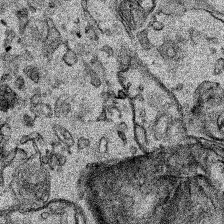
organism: Human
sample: Mitochondria in HCT116 cells